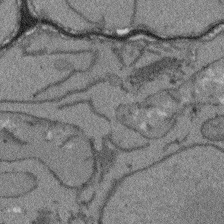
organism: Arabidopsis thaliana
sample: Root tip